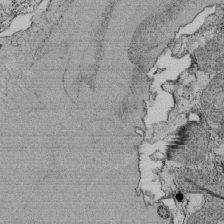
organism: Tetrahymena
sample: Cilia in tetrahymena